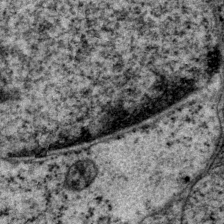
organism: P. pacificus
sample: Pharynx